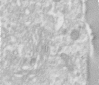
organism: Human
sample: Centriole in RPE cells